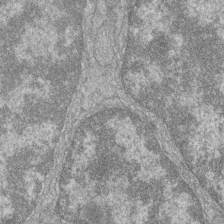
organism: Zebrafish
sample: Cilia; retinal pigment epithelium